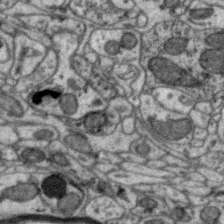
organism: Zebra finch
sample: Brain